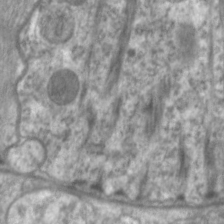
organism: C. elegans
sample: Pharynx